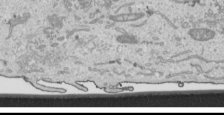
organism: Human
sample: Mitochondria in HCT116 cells